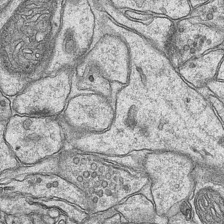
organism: Mouse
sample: CA1 Hippocampus